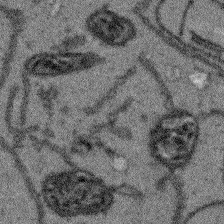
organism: Arabidopsis thaliana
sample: Root tip